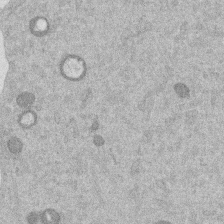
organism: Mouse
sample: Dividing mouse embryo 1 cell stage